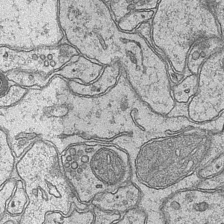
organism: Mouse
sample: CA1 Hippocampus